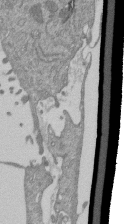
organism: Mouse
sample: ED-1 cell nuclei; centrioles